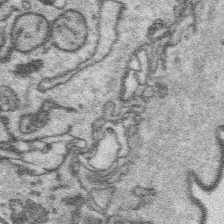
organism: Platynereis dumerilii